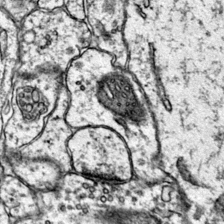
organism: Mouse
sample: Primary visual cortex